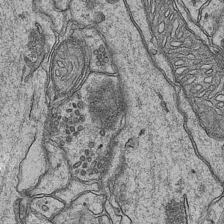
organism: Mouse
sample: CA1 Hippocampus